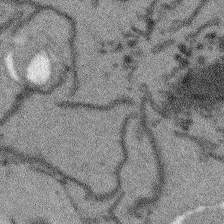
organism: Arabidopsis thaliana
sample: Root tip